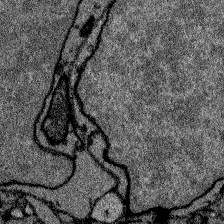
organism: Zebrafish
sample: Larval olfactory bulb